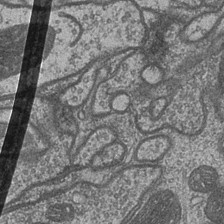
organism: Drosophila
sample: Optic medulla